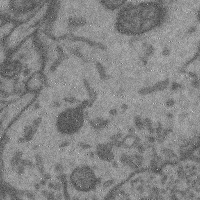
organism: Mouse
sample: Cerebral cortex